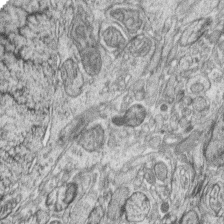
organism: Zebrafish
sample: synaptic ribbons in rod cells and cone cells